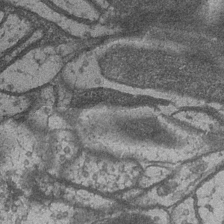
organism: Drosophila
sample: Optic medulla